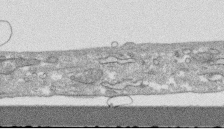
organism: Human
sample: CRL-1474